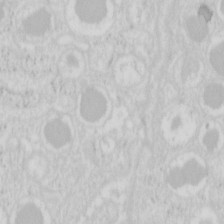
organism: Mouse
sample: Pancreas